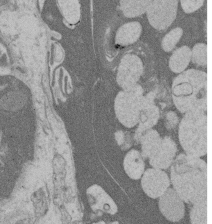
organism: Rat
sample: Salivary granule